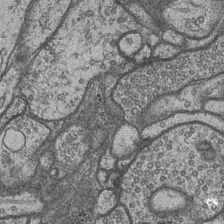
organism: Drosophila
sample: Optic medulla